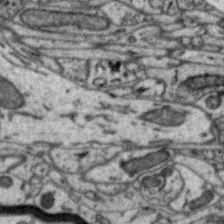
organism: Zebra finch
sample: Brain